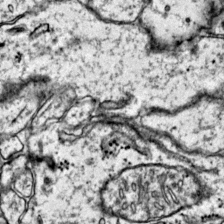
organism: Mouse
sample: Primary visual cortex